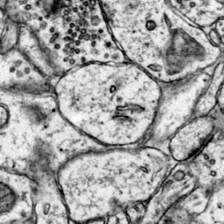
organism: Mouse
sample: Primary visual cortex